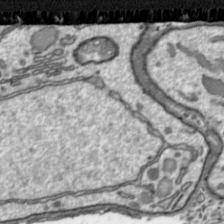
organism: Toxoplasma gondii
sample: Parasites in a vacuole inside a host cell